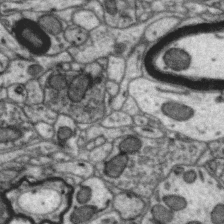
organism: Zebra finch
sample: Brain